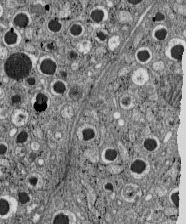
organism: C57BL Mouse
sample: Pancreatic islet